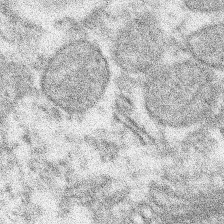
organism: Xenopus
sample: Cilia; centrioles in frog embryo cells